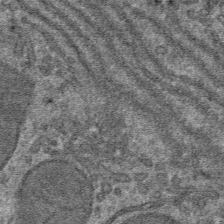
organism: Mouse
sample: Mouse hepatocytes